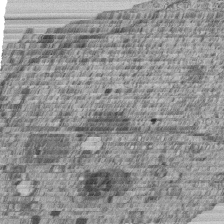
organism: Human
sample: MDA-MB-231 cells